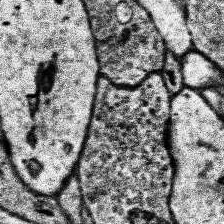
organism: Human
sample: Temporal Lobe